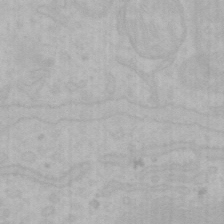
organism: Mouse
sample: Choroid plexus